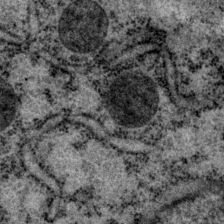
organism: P. pacificus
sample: Pharynx